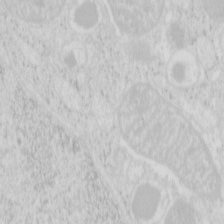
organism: Mouse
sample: Pancreas